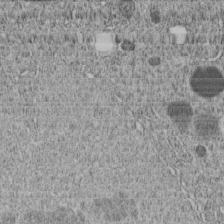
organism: C. elegans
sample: C. elegans embryo early stage